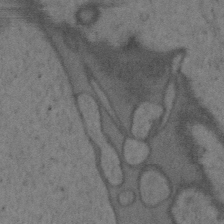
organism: Human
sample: HeLa cells